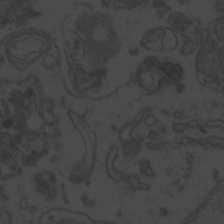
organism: Zebrafish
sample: Macrophage infected with Toxoplasma gondii